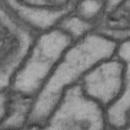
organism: Drosophila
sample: Brain